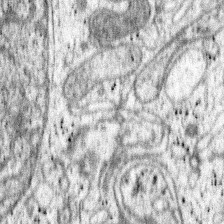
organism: Human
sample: HeLa cells